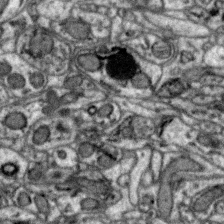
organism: Zebra finch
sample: Brain